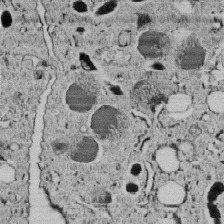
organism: C. elegans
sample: C. elegans embryo early stage